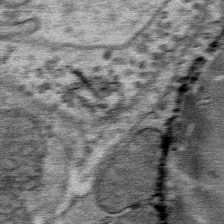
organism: Mouse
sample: Mouse Salivary gland